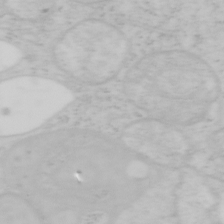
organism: Mouse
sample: OT-I killer T cells with ID8 ovarian cancer cells